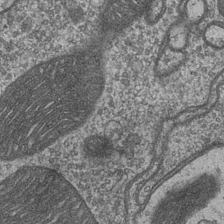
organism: Drosophila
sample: Optic medulla